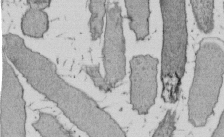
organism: E. coli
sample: Bacterial nucleoid